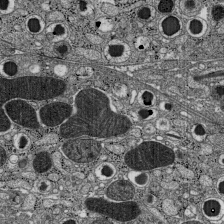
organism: C57BL Mouse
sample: Pancreatic islet